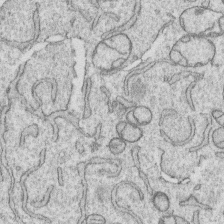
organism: Human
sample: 1205lu cells